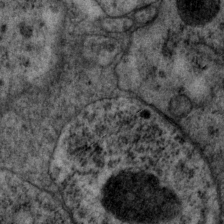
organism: P. pacificus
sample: Pharynx